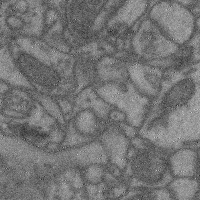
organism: Mouse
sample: Cerebral cortex